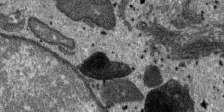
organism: Human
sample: Lung epithelial cells, uninfected (mock) control